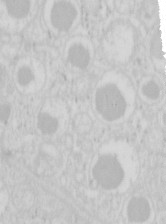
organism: Mouse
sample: Pancreas